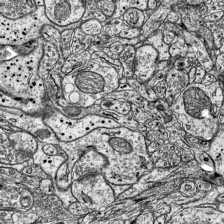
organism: Mouse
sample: Visual Cortex